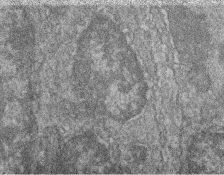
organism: Zebrafish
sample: Cilia; retinal pigment epithelium